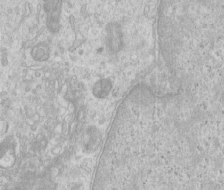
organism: Human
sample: Centriole in RPE cells